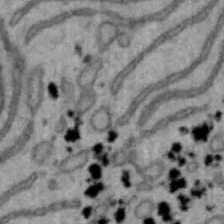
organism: Mouse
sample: Liver